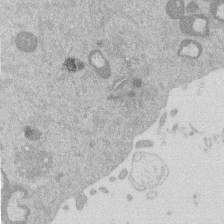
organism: Mouse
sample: Dividing mouse embryo 1 cell stage